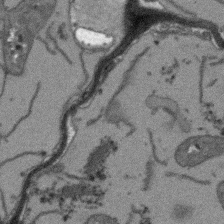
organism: Arabidopsis thaliana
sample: Root tip